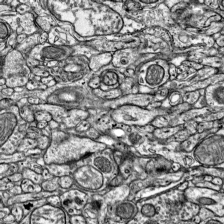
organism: Mouse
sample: Visual Cortex